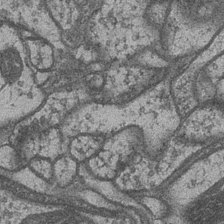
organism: Drosophila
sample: Optic medulla